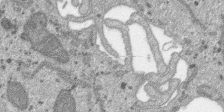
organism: Human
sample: Lung epithelial cells infected with SARS-CoV-2